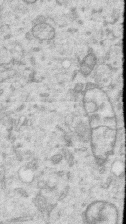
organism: Human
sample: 1205lu cells